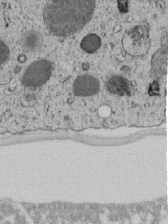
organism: C. elegans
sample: C. elegans embryo early stage